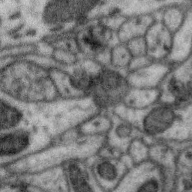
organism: Zebra finch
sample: Brain